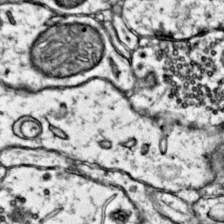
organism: Mouse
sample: Primary visual cortex